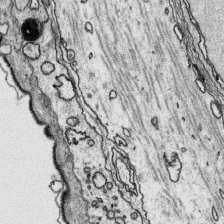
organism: Platynereis dumerilii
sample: Parapodia